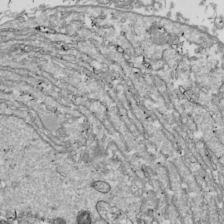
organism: Drosophila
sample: Cell division; meiosis; drosophila spermatocytes